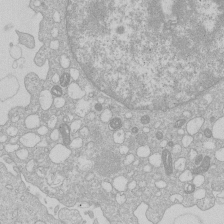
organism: Human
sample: Macrophage cells